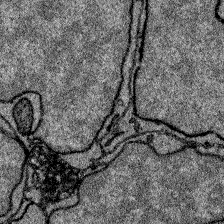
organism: Zebrafish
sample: Larval olfactory bulb